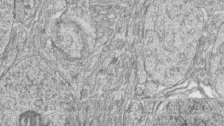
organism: Zebrafish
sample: synaptic ribbons in rod cells and cone cells